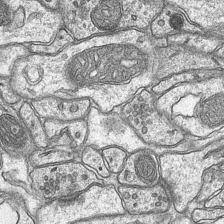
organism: Mouse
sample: CA1 Hippocampus